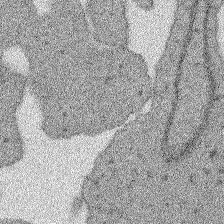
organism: Human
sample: HeLa cells